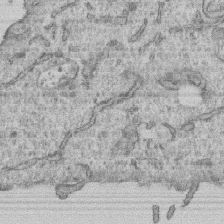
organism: Human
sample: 1205lu cells